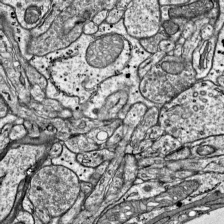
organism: Mouse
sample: Visual Cortex